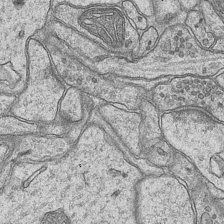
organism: Mouse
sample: CA1 Hippocampus